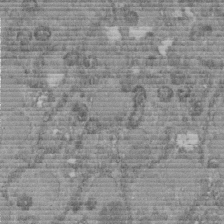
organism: C. elegans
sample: C. elegans embryo early stage